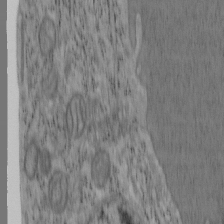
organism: Human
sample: HeLa cells